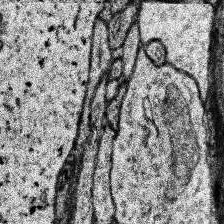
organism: Human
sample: Temporal Lobe